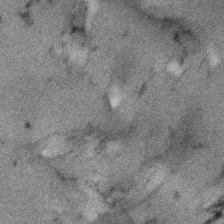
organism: Human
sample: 1205lu cells